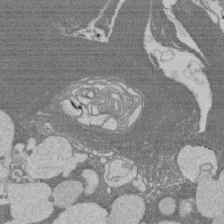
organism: Rat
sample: Salivary granule